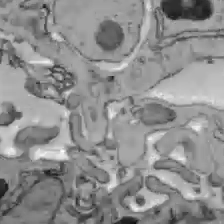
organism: C57BL Mouse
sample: Liver